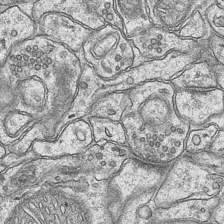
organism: Mouse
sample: CA1 Hippocampus